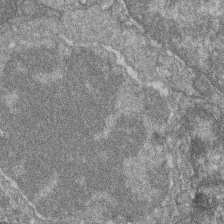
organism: Zebrafish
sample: Cilia; retinal pigment epithelium